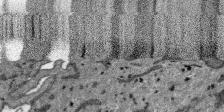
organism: Human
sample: Lung epithelial cells, uninfected (mock) control